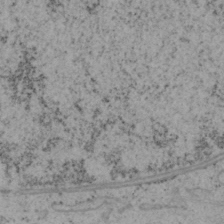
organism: Human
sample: HeLa cells